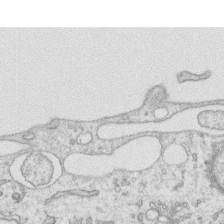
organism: Human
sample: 1205lu cells